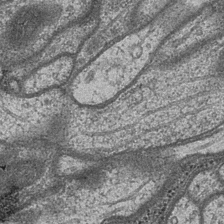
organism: Drosophila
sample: Optic medulla